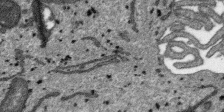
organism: Human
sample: Lung epithelial cells, uninfected (mock) control